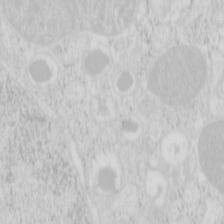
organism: Mouse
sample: Pancreas